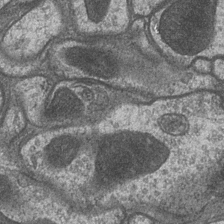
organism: Drosophila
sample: Optic medulla